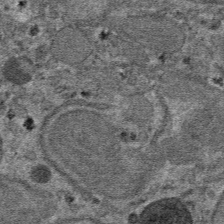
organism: Mouse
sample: Mouse hepatocytes